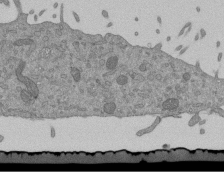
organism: Mouse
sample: ED-1 cell nuclei; centrioles